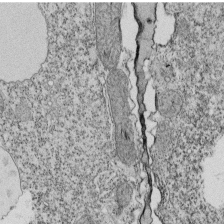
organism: Tetrahymena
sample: Cilia in tetrahymena